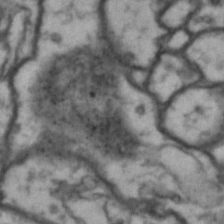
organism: Drosophila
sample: Brain